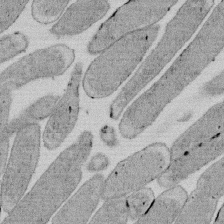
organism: E. coli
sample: Bacterial nucleoid